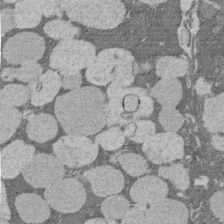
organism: Rat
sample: Salivary granule